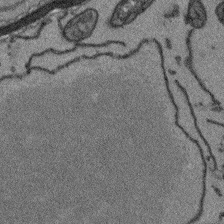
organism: Arabidopsis thaliana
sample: Root tip